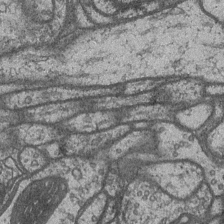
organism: Drosophila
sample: Optic medulla